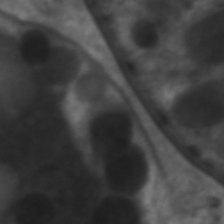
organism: C. elegans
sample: Pharynx